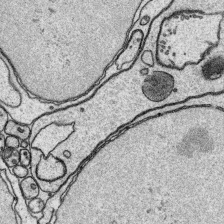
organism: Platynereis dumerilii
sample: Parapodia